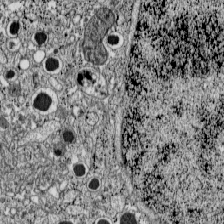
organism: C57BL Mouse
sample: Pancreatic islet